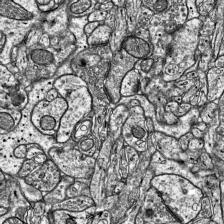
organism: Mouse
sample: Visual Cortex